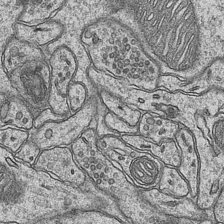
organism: Mouse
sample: CA1 Hippocampus